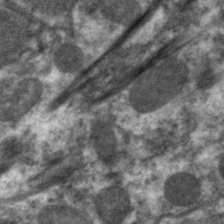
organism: C. elegans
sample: Pharynx